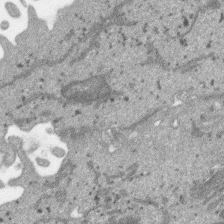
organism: Human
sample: Lung epithelial cells infected with SARS-CoV-2